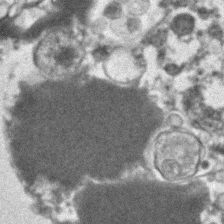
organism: Human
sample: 1205lu cells